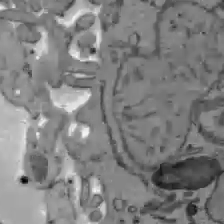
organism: C57BL Mouse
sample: Liver